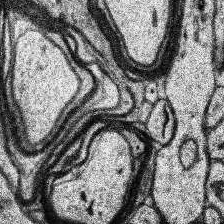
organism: Human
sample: Temporal Lobe